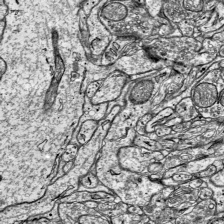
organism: Mouse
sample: Visual Cortex